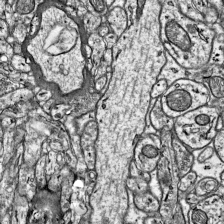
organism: Mouse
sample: Visual Cortex